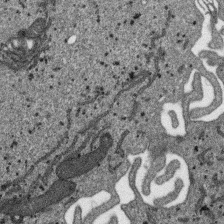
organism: Human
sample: Lung epithelial cells infected with SARS-CoV-2